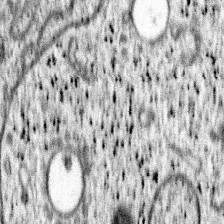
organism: Human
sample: HeLa cells